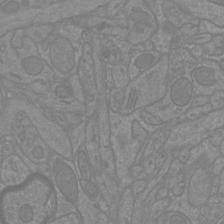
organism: Mouse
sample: Cortical neurons